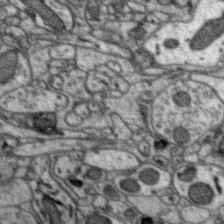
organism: Zebra finch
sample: Brain